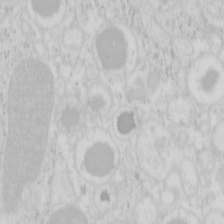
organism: Mouse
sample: Pancreas